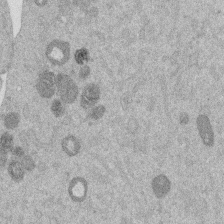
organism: Mouse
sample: Dividing mouse embryo 1 cell stage